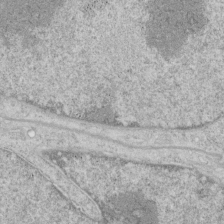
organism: Human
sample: Mitochondria in HCT116 cells